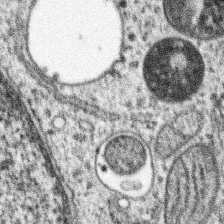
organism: Human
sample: HeLa cells